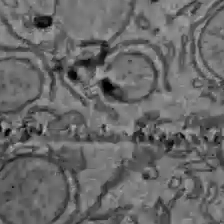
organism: C57BL Mouse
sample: Liver